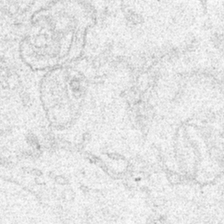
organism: Human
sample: Mitochondria in HCT116 cells